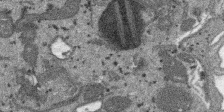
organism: Human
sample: Lung epithelial cells infected with SARS-CoV-2